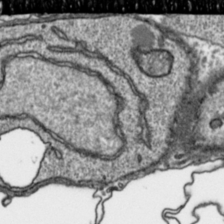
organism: Toxoplasma gondii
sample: Parasites in a vacuole inside a host cell